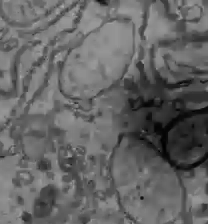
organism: C57BL Mouse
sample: Liver